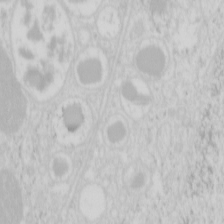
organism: Mouse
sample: Pancreas